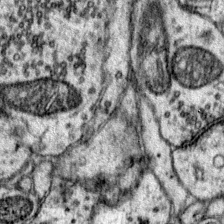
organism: Mouse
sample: Primary visual cortex